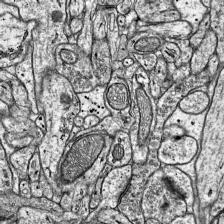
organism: Mouse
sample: Visual Cortex